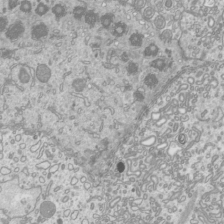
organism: Mouse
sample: Cilia; mouse epididymis